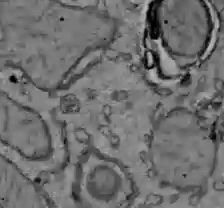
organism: C57BL Mouse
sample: Liver